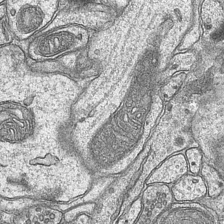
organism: Mouse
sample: CA1 Hippocampus